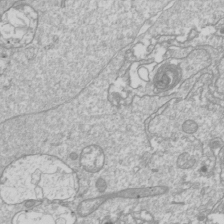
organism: Drosophila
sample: Cell division; meiosis; drosophila spermatocytes